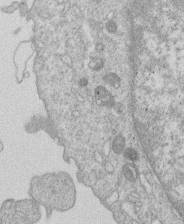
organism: Human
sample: Macrophage cells